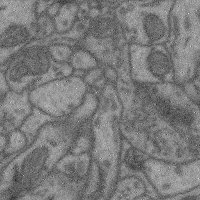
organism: Mouse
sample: Cerebral cortex